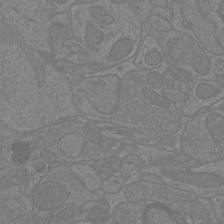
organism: Mouse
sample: Cortical neurons